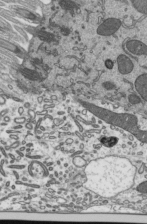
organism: Mouse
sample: Mouse epididymis efferent ductule cilia